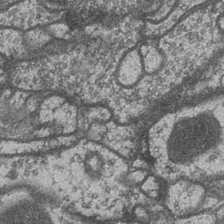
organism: Drosophila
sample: Optic medulla